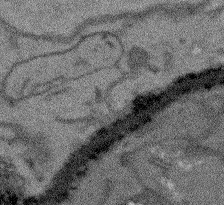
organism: Arabidopsis thaliana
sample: Root tip